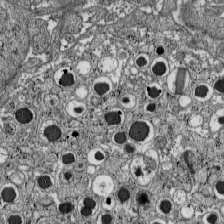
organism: C57BL Mouse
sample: Pancreatic islet